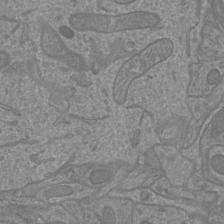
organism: Mouse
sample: Cortical neurons